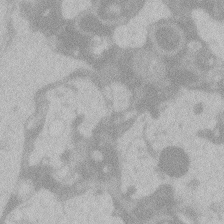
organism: Zebrafish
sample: Macrophage infected with Toxoplasma gondii